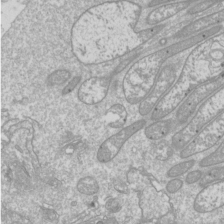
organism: Drosophila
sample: Cell division; meiosis; drosophila spermatocytes